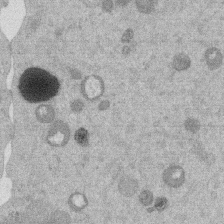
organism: Mouse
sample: Dividing mouse embryo 1 cell stage